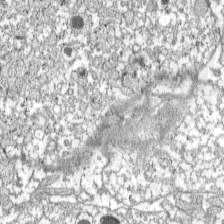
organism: C57BL Mouse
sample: Pancreatic islet